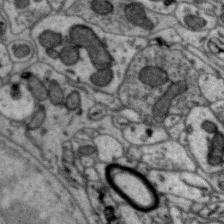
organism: Zebra finch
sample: Brain